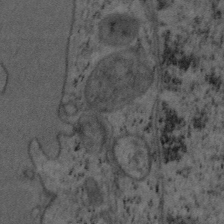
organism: Human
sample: HeLa cells